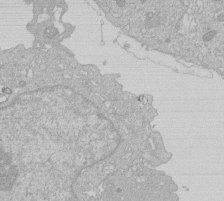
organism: Human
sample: Macrophage cells